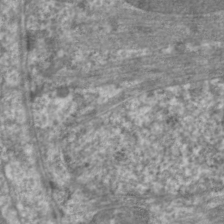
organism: C. elegans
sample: Pharynx